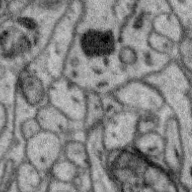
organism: Zebra finch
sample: Brain